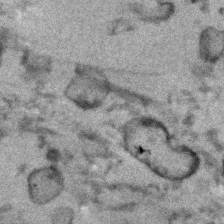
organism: Human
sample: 1205lu cells